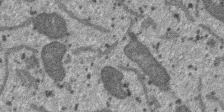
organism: Human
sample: Lung epithelial cells infected with SARS-CoV-2